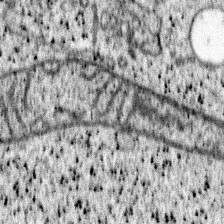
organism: Human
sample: HeLa cells